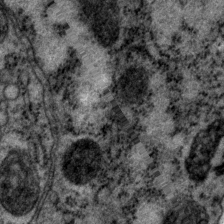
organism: P. pacificus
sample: Pharynx